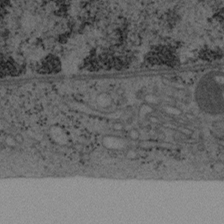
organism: Human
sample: HeLa cells